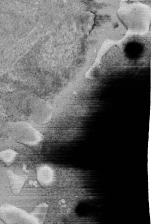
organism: Human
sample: Retinal organoid Rod and Cone cells